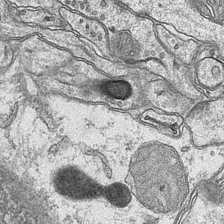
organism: Mouse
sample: CA1 Hippocampus